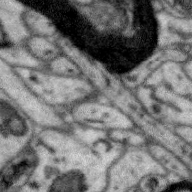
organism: Zebra finch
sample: Brain